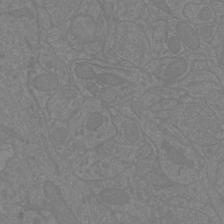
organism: Mouse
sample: Cortical neurons